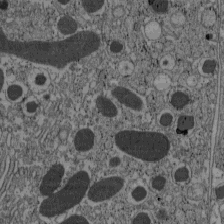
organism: C57BL Mouse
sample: Pancreatic islet